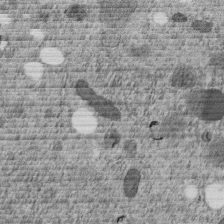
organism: C. elegans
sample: C. elegans embryo early stage